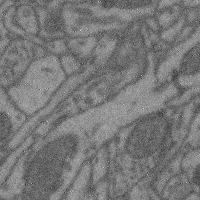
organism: Mouse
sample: Cerebral cortex